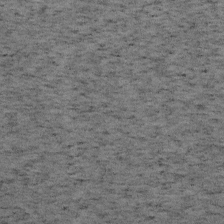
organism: Mouse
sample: OT-I killer T cells with ID8 ovarian cancer cells